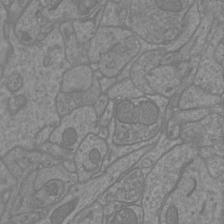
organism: Mouse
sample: Cortical neurons